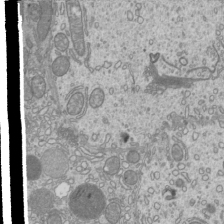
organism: Mouse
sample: Cilia; mouse epididymis